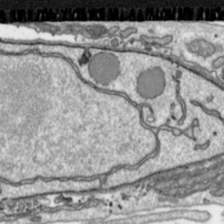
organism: Toxoplasma gondii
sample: Parasites in a vacuole inside a host cell